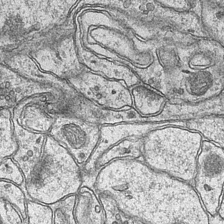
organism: Mouse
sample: CA1 Hippocampus